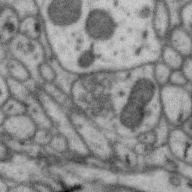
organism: Zebra finch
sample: Brain